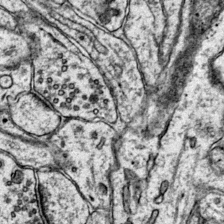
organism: Mouse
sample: Primary visual cortex